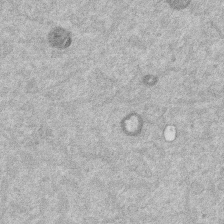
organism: Mouse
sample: Dividing mouse embryo 1 cell stage